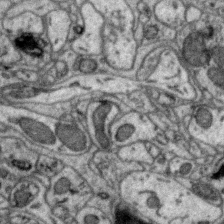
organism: Zebra finch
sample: Brain